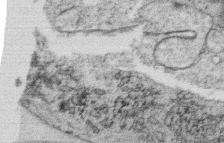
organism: C. elegans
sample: C. elegans oocyte; sperm cells